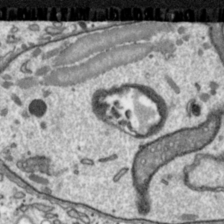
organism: Toxoplasma gondii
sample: Parasites in a vacuole inside a host cell